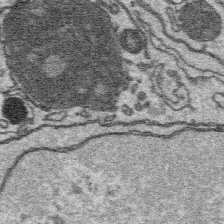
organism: Platynereis dumerilii